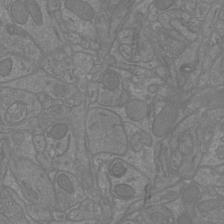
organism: Mouse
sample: Cortical neurons